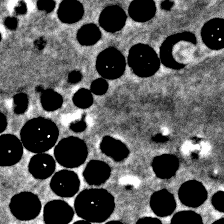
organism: Zebrafish